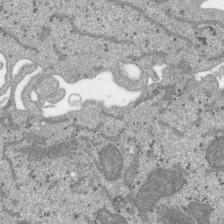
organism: Human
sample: Lung epithelial cells infected with SARS-CoV-2